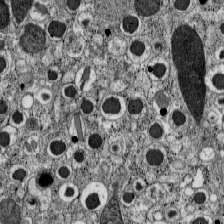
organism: C57BL Mouse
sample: Pancreatic islet